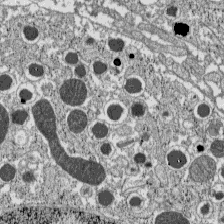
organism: C57BL Mouse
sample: Pancreatic islet